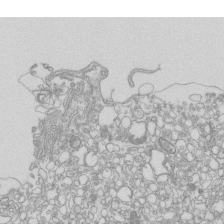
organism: Mouse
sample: Macrophages